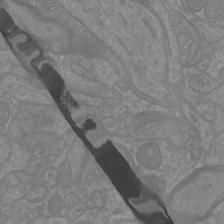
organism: Mouse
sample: Cortical neurons